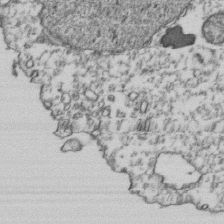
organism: Human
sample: Activated Jurkat CD4+ T cells